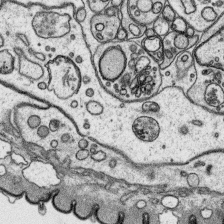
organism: Platynereis dumerilii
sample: Parapodia